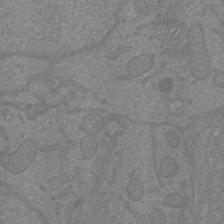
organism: Mouse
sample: Cortical neurons